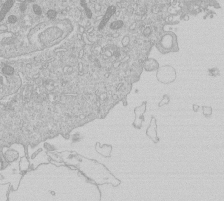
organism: Human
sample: Macrophage cells